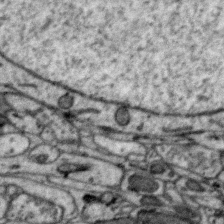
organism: Zebra finch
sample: Brain